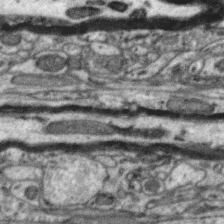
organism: Zebra finch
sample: Brain